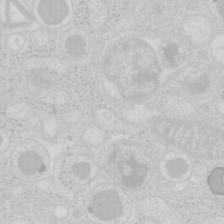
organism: Mouse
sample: Pancreas